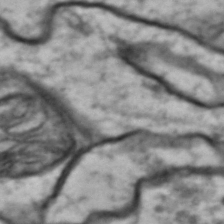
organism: Drosophila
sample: Brain